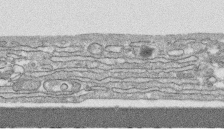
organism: Human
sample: CRL-1474